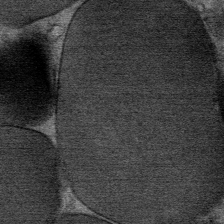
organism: Mouse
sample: Mouse Salivary gland